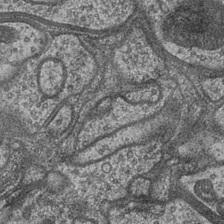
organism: Drosophila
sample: Optic medulla